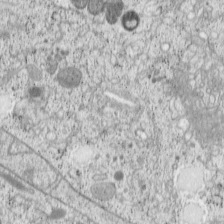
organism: African green monkey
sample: COS-7 cells